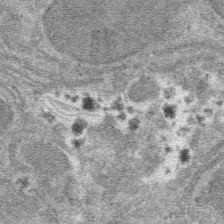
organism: Mouse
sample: Mouse hepatocytes